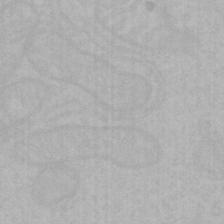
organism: Mouse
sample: Choroid plexus